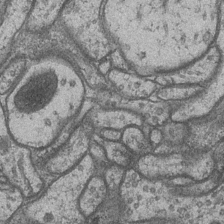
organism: Drosophila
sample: Optic medulla